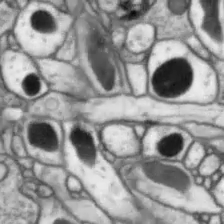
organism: Drosophila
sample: Optic lobe